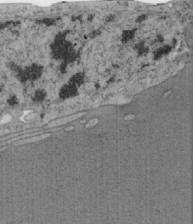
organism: Human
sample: HeLa cells